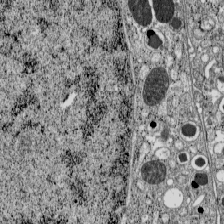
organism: C57BL Mouse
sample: Pancreatic islet